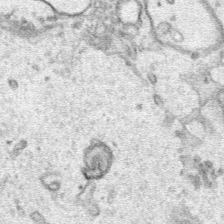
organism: Human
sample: Mitochondria in HCT116 cells